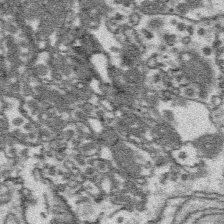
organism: Platynereis dumerilii